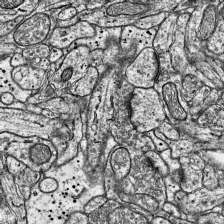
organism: Mouse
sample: Visual Cortex